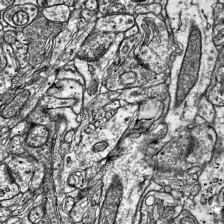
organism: Mouse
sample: Visual Cortex